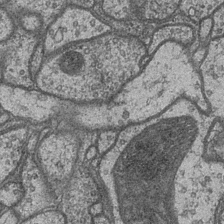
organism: Drosophila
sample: Optic medulla